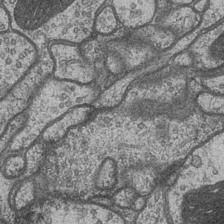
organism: Drosophila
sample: Optic medulla